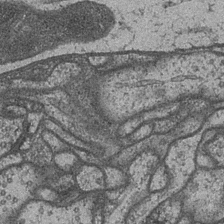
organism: Drosophila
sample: Optic medulla